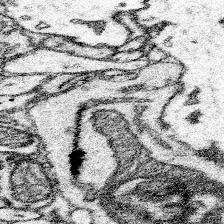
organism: Mouse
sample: Somatosensory cortex neuropil